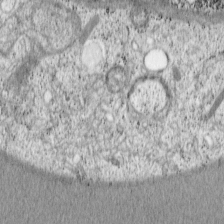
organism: African green monkey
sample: COS-7 cells